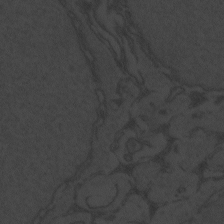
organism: Zebrafish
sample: Macrophage infected with Toxoplasma gondii